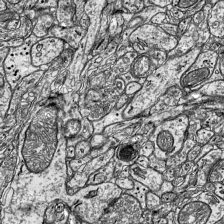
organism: Mouse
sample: Visual Cortex